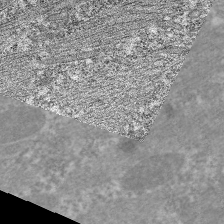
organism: C. elegans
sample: Pharynx